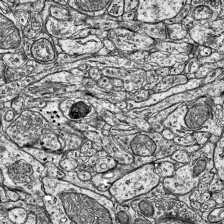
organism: Mouse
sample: Visual Cortex